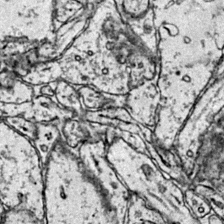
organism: Mouse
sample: Primary visual cortex